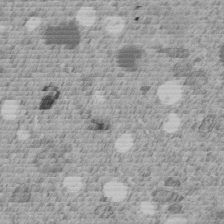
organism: C. elegans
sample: C. elegans embryo early stage